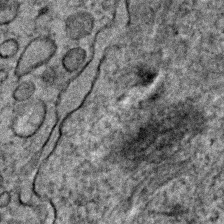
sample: Trachea